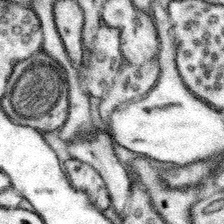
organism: Mouse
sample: Somatosensory cortex neuropil